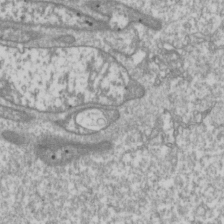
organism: Drosophila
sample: Cell division; meiosis; drosophila spermatocytes